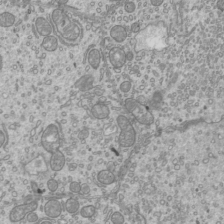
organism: Mouse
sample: Cilia; mouse epididymis